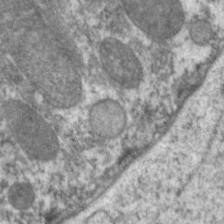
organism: C. elegans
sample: Pharynx